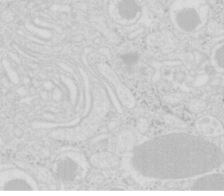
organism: Mouse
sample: Pancreas